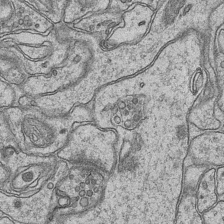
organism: Mouse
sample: CA1 Hippocampus